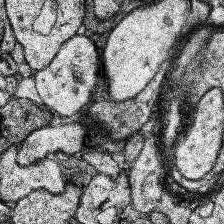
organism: Human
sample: Temporal Lobe